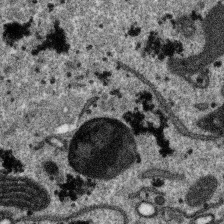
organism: Human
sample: Lung epithelial cells infected with SARS-CoV-2